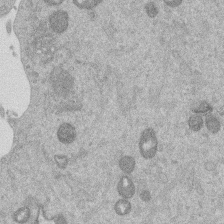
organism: Mouse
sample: Dividing mouse embryo 1 cell stage